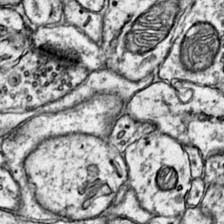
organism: Mouse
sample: Primary visual cortex